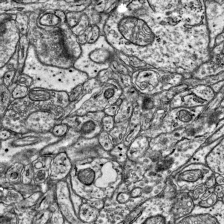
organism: Mouse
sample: Visual Cortex